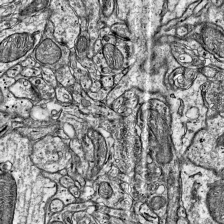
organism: Mouse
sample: Visual Cortex